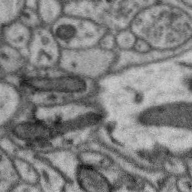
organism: Zebra finch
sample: Brain